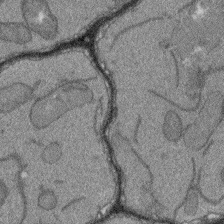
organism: Arabidopsis thaliana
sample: Root tip